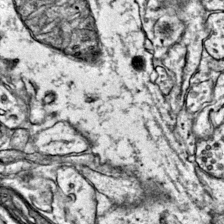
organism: Mouse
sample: Primary visual cortex